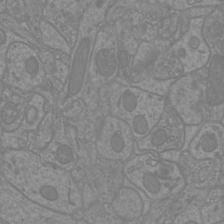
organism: Mouse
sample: Cortical neurons